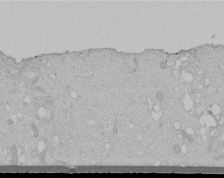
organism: Human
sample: Melanocyte Keratinocyte synapse skin construct